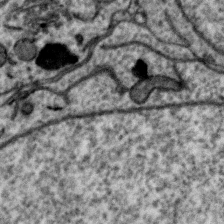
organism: Zebra finch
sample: Brain